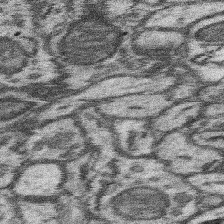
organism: Mouse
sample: Somatosensory cortex neuropil